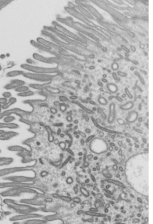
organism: Mouse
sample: Mouse epididymis efferent ductule cilia